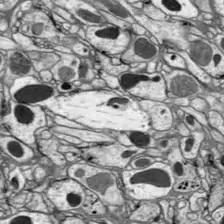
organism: Drosophila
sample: Optic lobe